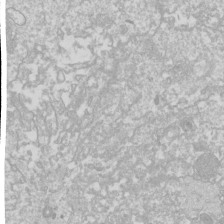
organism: Drosophila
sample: Cell division; meiosis; drosophila spermatocytes